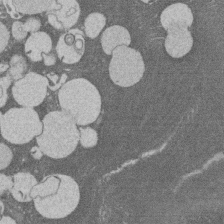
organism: Rat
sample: Salivary granule